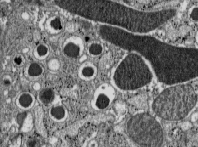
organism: C57BL Mouse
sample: Pancreatic islet